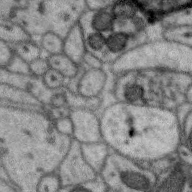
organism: Zebra finch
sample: Brain